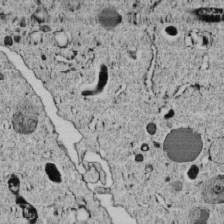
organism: C. elegans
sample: C. elegans embryo early stage